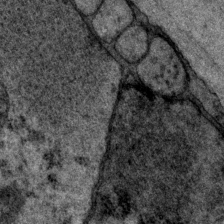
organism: P. pacificus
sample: Pharynx